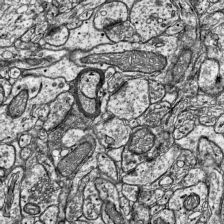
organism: Mouse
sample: Visual Cortex